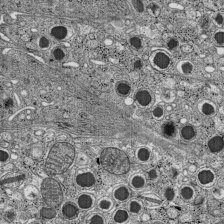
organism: C57BL Mouse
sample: Pancreatic islet